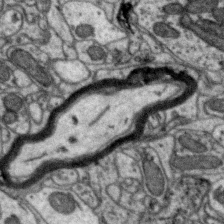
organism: Zebra finch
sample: Brain